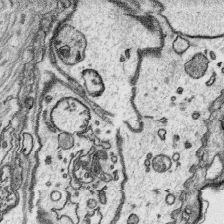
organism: Platynereis dumerilii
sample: Parapodia